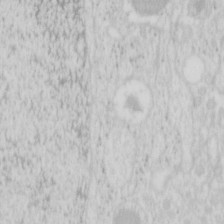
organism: Mouse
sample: Pancreas